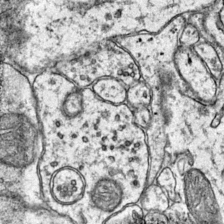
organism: Mouse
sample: Primary visual cortex